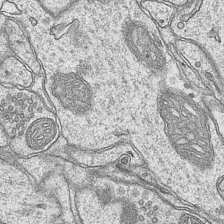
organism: Mouse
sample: CA1 Hippocampus